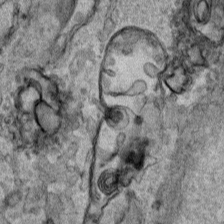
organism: Human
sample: Mitochondria in HCT116 cells